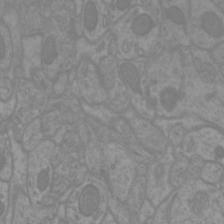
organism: Mouse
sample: Cortical neurons